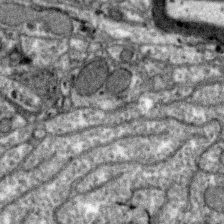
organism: Zebra finch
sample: Brain